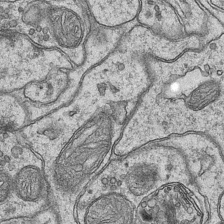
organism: Mouse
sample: CA1 Hippocampus